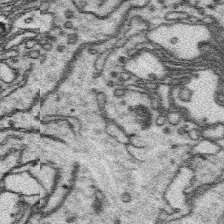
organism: Platynereis dumerilii